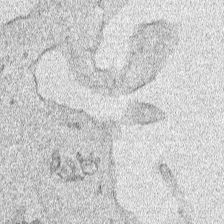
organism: Human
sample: Mitochondria in HCT116 cells